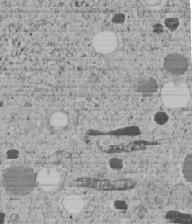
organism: C. elegans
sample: C. elegans embryo early stage